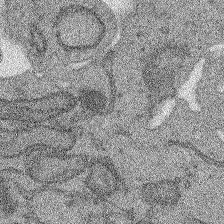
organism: Human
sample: HeLa cells